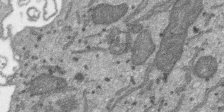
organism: Human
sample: Lung epithelial cells infected with SARS-CoV-2